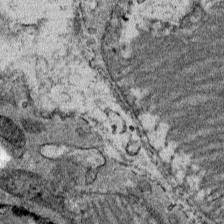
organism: Mouse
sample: Mouse Salivary gland